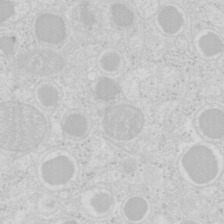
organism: Mouse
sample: Pancreas